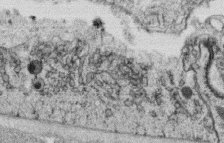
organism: C. elegans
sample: C. elegans oocyte; sperm cells